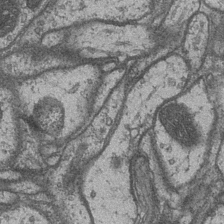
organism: Drosophila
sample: Optic medulla